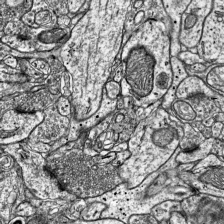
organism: Mouse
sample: Visual Cortex